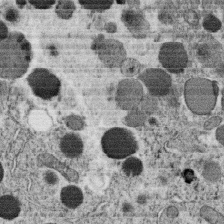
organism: C. elegans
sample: C. elegans oocyte; sperm cells